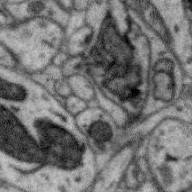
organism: Zebra finch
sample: Brain